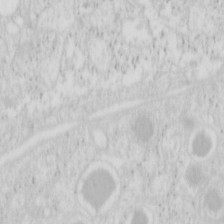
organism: Mouse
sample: Pancreas